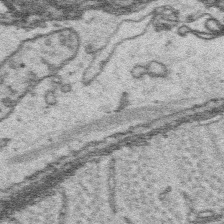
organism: Platynereis dumerilii